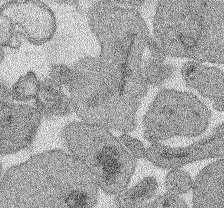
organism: Human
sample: HeLa cells